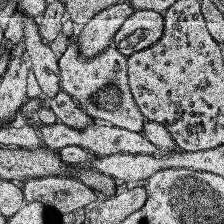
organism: Human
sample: Temporal Lobe